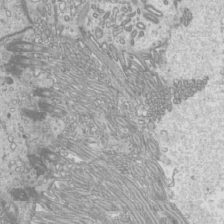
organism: Mouse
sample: Cilia; mouse epididymis